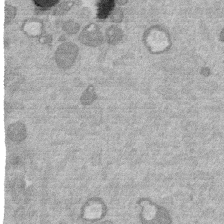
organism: Mouse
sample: Dividing mouse embryo 1 cell stage